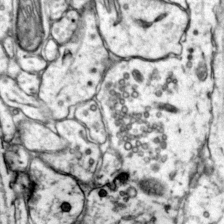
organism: Mouse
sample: Primary visual cortex